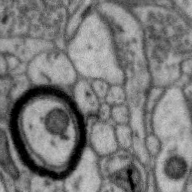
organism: Zebra finch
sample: Brain